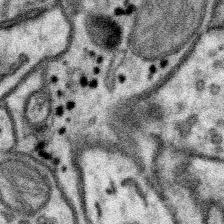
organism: Mouse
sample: Somatosensory cortex neuropil